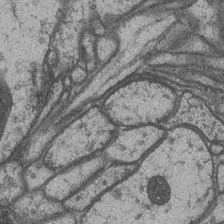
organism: Drosophila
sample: Optic medulla